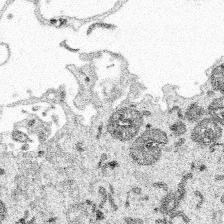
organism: Spongilla lacustris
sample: Multiple